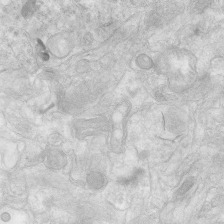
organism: Human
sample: Neocortex